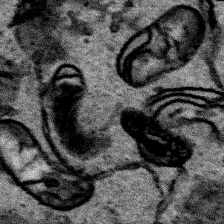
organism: Human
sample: Mitochondria in HCT116 cells